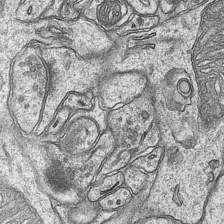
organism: Mouse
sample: CA1 Hippocampus